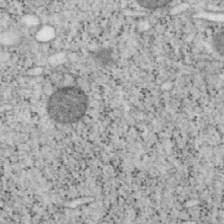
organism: Mouse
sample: OT-I killer T cells with ID8 ovarian cancer cells